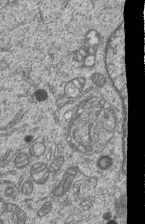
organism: Human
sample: MDA-MB-231 cells